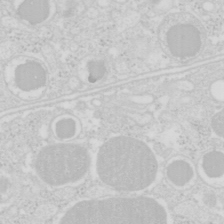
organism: Mouse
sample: Pancreas